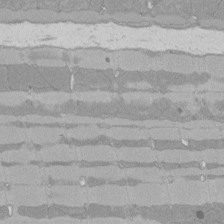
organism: Rat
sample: Left ventricle